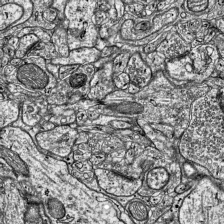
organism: Mouse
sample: Visual Cortex